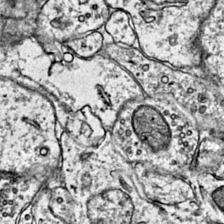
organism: Mouse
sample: Primary visual cortex